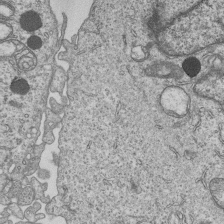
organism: Human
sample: MDA-MB-231 cells